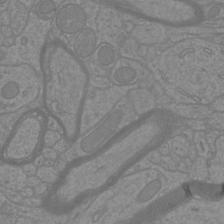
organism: Mouse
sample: Cortical neurons